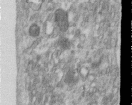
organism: Human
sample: Centriole in RPE cells